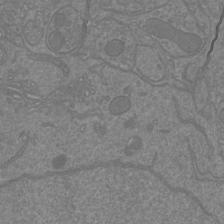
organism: Mouse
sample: Cortical neurons